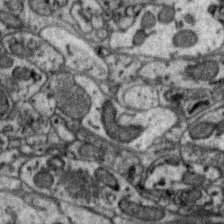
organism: Zebra finch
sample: Brain